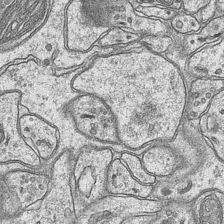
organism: Mouse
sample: CA1 Hippocampus